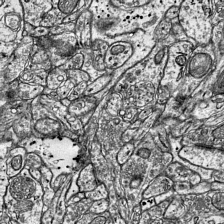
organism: Mouse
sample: Visual Cortex